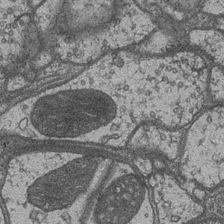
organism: Drosophila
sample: Optic medulla